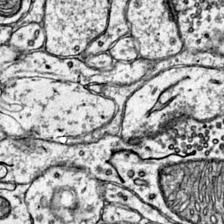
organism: Mouse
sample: Primary visual cortex